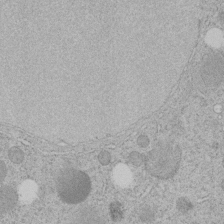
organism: C. elegans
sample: C. elegans embryo early stage